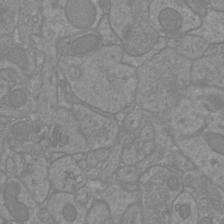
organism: Mouse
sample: Cortical neurons